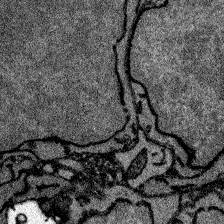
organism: Zebrafish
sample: Larval olfactory bulb